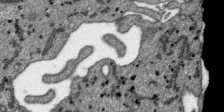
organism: Human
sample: Lung epithelial cells, uninfected (mock) control